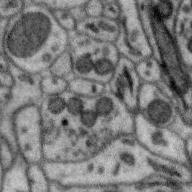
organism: Zebra finch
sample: Brain